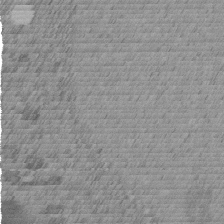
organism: C. elegans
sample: C. elegans embryo early stage